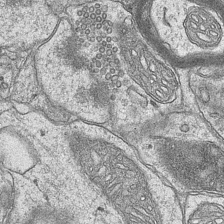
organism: Mouse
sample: CA1 Hippocampus